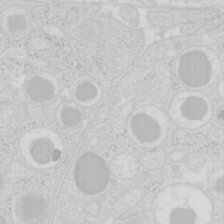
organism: Mouse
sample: Pancreas